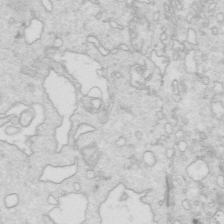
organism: Mouse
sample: Multiciliated cells